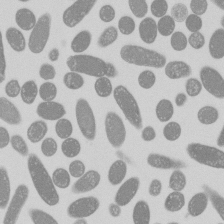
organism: E. coli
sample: Bacterial nucleoid